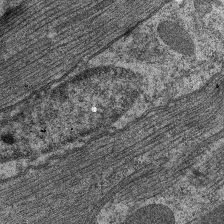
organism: C. elegans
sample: Pharynx